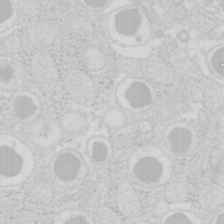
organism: Mouse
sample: Pancreas